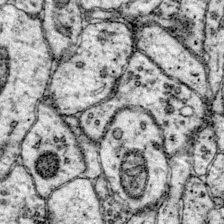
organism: Mouse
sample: Primary visual cortex